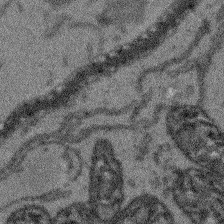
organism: Arabidopsis thaliana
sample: Root tip